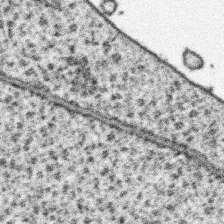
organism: Human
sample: HeLa cells